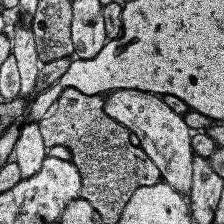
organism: Human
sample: Temporal Lobe